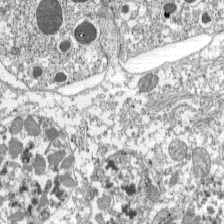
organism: C57BL Mouse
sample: Pancreatic islet